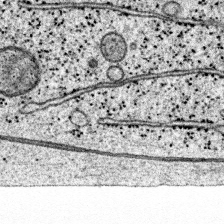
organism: Human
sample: HeLa cells